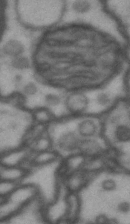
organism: Drosophila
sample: Brain